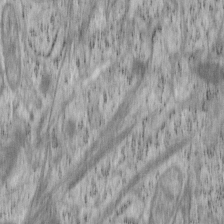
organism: Human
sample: HeLa cells